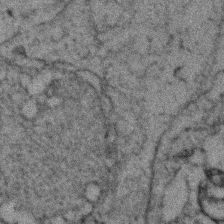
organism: Zebrafish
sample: Zebrafish embryo